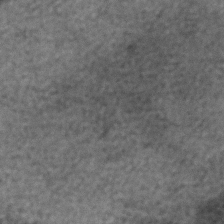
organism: C. elegans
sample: C. elegans embryo